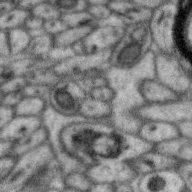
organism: Zebra finch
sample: Brain